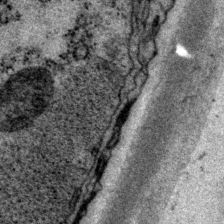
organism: P. pacificus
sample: Pharynx